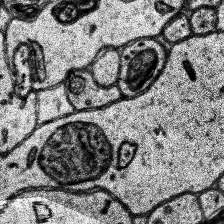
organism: Human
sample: Temporal Lobe